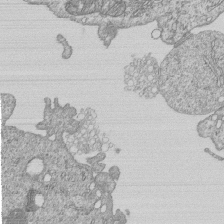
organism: Human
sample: MDA-MB-231 cells